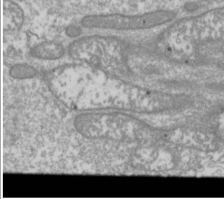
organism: Drosophila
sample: Cell division; meiosis; drosophila spermatocytes